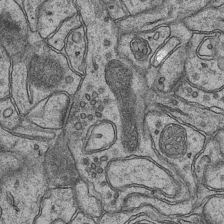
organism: Mouse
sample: CA1 Hippocampus